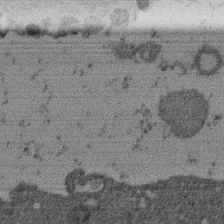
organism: Mouse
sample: Dividing mouse embryo 1 cell stage